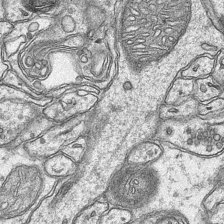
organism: Mouse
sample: CA1 Hippocampus